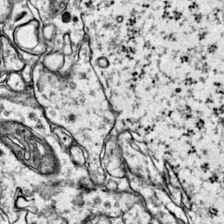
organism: Mouse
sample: Primary visual cortex